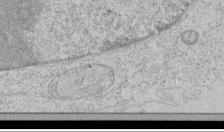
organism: Human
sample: Mitochondria in HCT116 cells